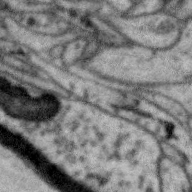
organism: Zebra finch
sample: Brain